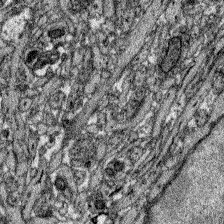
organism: Zebrafish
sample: Larval olfactory bulb